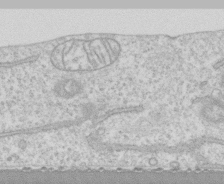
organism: Human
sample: CRL-1474